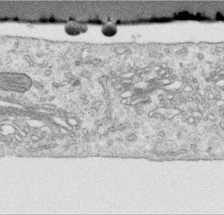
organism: Human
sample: Centriole in RPE cells